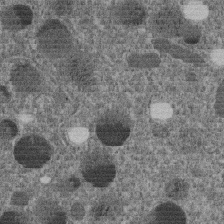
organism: C. elegans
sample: C. elegans embryo early stage